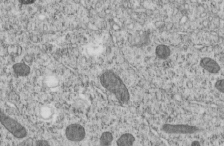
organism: C. elegans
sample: C. elegans embryo early stage